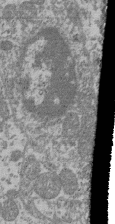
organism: Mouse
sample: Glomerulus